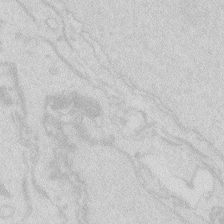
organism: Zebrafish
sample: Macrophage